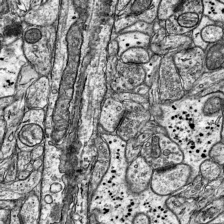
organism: Mouse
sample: Visual Cortex